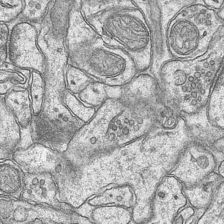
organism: Mouse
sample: CA1 Hippocampus